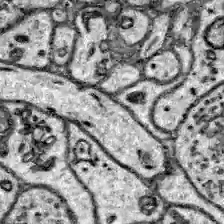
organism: Zebrafish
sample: Brain